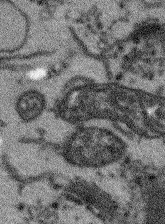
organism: Arabidopsis thaliana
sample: Root tip